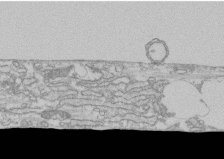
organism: Human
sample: CRL-1474